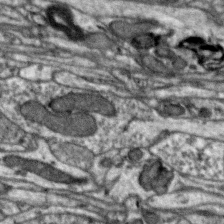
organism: Zebra finch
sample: Brain